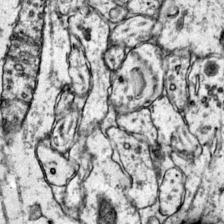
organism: Mouse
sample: Primary visual cortex